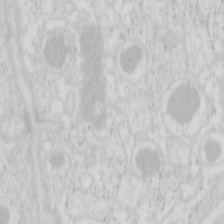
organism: Mouse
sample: Pancreas